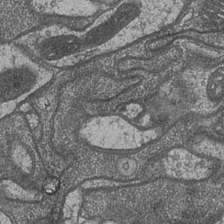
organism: Drosophila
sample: Optic medulla